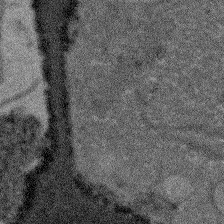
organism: Arabidopsis thaliana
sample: Root tip